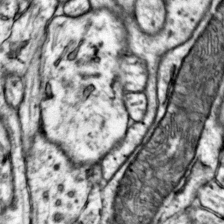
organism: Mouse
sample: Primary visual cortex